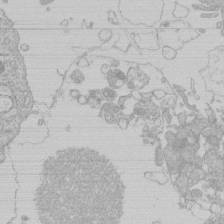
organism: Human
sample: Macrophage cells